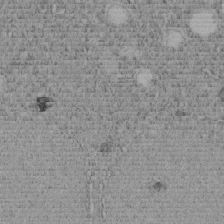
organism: C. elegans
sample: C. elegans embryo early stage